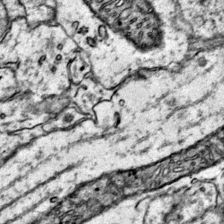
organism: Mouse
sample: Primary visual cortex